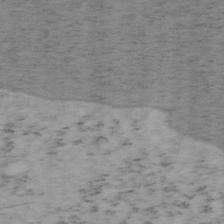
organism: Mouse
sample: OT-I killer T cells with ID8 ovarian cancer cells